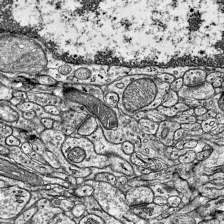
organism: Mouse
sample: Visual Cortex